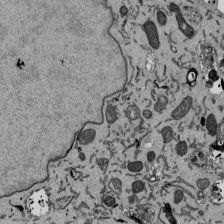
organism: Mouse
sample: ED-1 cell nuclei; centrioles